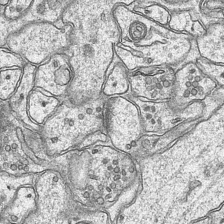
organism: Mouse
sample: CA1 Hippocampus